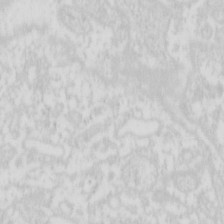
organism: Mouse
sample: Pancreas